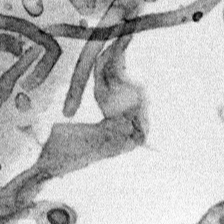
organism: Human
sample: Mitochondria in HCT116 cells